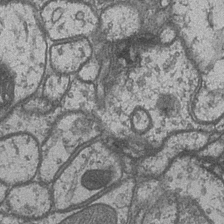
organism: Drosophila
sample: Optic medulla